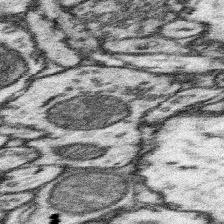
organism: Mouse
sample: Somatosensory cortex neuropil